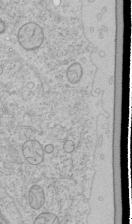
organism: Human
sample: Mitochondria in HCT116 cells